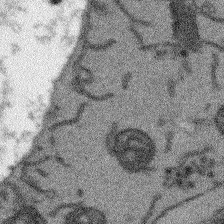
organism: Arabidopsis thaliana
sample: Root tip